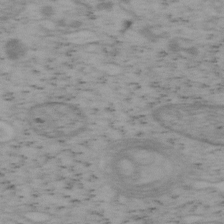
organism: Mouse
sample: OT-I killer T cells with ID8 ovarian cancer cells